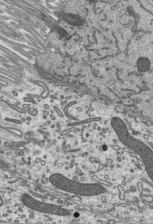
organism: Mouse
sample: Mouse epididymis efferent ductule cilia